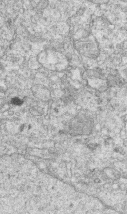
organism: Human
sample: HeLa cell HIV synapse